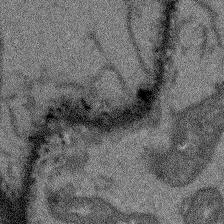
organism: Arabidopsis thaliana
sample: Root tip